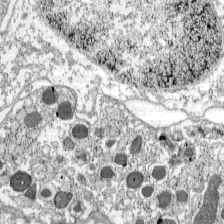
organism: C57BL Mouse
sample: Pancreatic islet